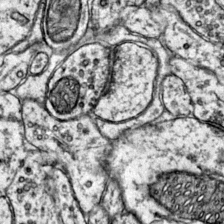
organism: Mouse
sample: Primary visual cortex